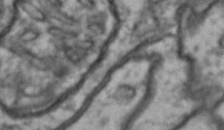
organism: Drosophila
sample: Brain